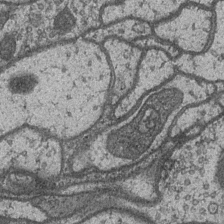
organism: Drosophila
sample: Optic medulla